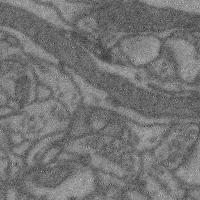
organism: Mouse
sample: Cerebral cortex